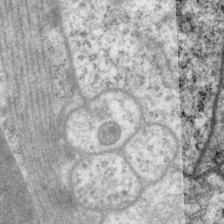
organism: P. pacificus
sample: Pharynx